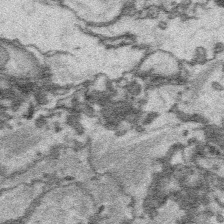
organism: Platynereis dumerilii